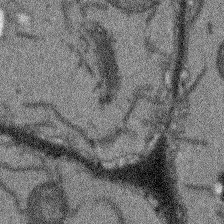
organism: Arabidopsis thaliana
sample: Root tip